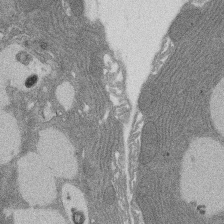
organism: Rat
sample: Salivary granule